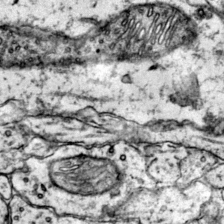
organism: Mouse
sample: Primary visual cortex